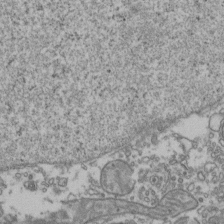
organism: Human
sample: Activated Jurkat CD4+ T cells